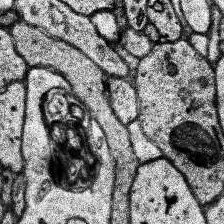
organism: Human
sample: Temporal Lobe